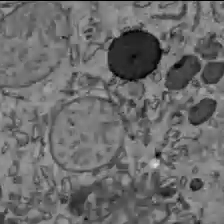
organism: C57BL Mouse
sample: Liver